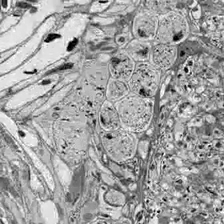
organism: Drosophila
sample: Optic lobe